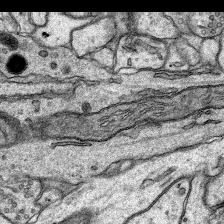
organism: Rat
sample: Hippocampus